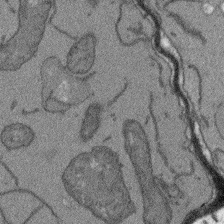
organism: Arabidopsis thaliana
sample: Root tip